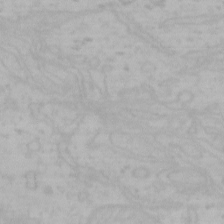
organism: Mouse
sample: Choroid plexus